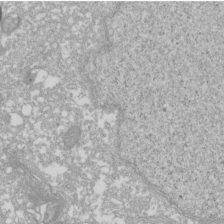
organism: Xenopus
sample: Cilia; centrioles in frog embryo cells